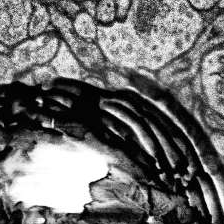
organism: Human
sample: Temporal Lobe